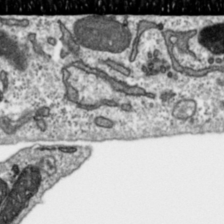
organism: Toxoplasma gondii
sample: Parasites in a vacuole inside a host cell